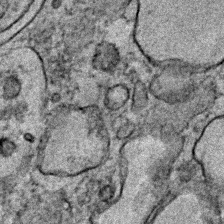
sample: Trachea